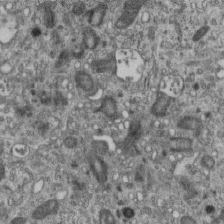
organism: Mouse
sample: Centriole in ependymal cells